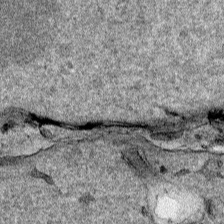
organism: Human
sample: Mitochondria in HCT116 cells